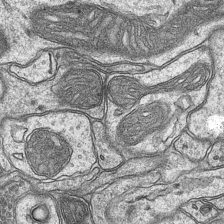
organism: Mouse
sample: CA1 Hippocampus